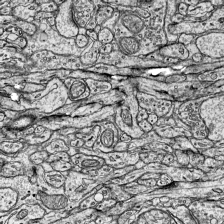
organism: Mouse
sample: Visual Cortex